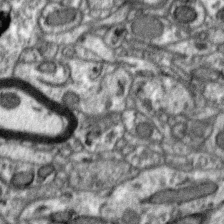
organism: Zebra finch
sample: Brain